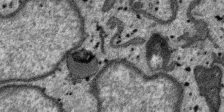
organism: Human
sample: Lung epithelial cells, uninfected (mock) control